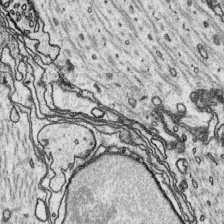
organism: Platynereis dumerilii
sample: Parapodia